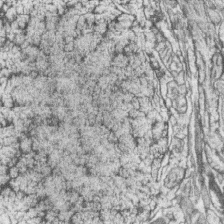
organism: Zebrafish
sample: synaptic ribbons in rod cells and cone cells